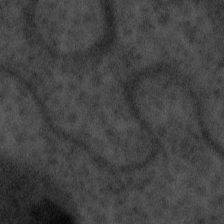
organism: Tuwongella immobilis